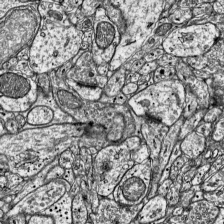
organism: Mouse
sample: Visual Cortex